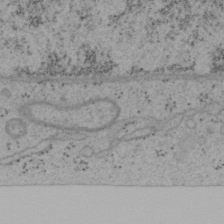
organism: Human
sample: HeLa cells